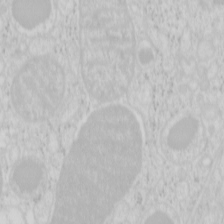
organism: Mouse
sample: Pancreas